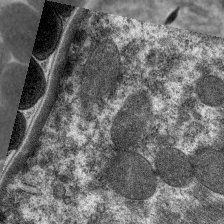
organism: C. elegans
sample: Pharynx